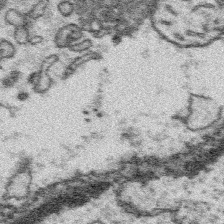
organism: Platynereis dumerilii